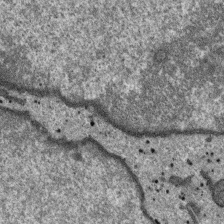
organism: Human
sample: Lung epithelial cells, uninfected (mock) control